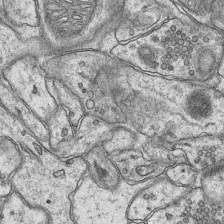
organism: Mouse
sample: CA1 Hippocampus